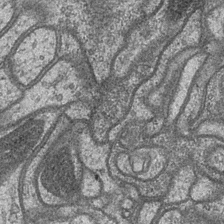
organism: Drosophila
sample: Optic medulla